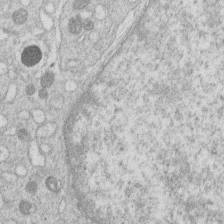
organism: Human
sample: Macrophage cells